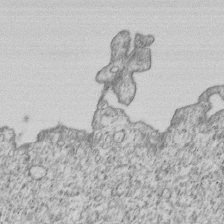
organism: Human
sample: MDA-MB-231 cells